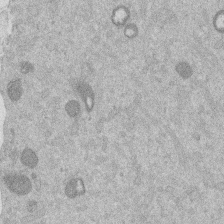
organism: Mouse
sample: Dividing mouse embryo 1 cell stage